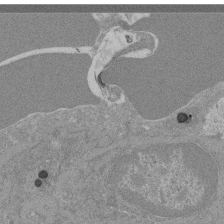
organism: Mouse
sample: Glomerulus